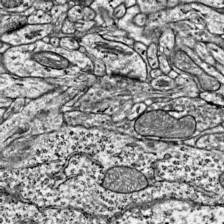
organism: Mouse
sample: Visual Cortex